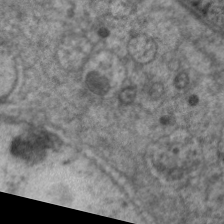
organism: C. elegans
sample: Pharynx